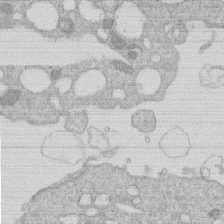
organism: Human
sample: Macrophage cells